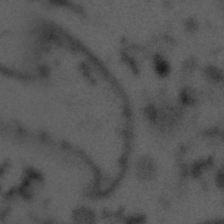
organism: Tuwongella immobilis